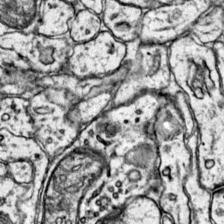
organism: Mouse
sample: Primary visual cortex